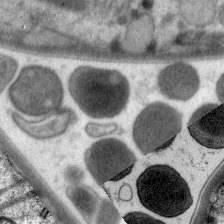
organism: C. elegans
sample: Pharynx